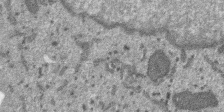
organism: Human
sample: Lung epithelial cells infected with SARS-CoV-2